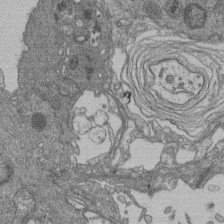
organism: Human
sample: Retinal organoid Rod and Cone cells